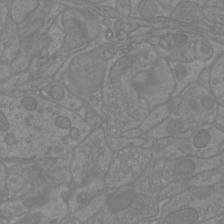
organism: Mouse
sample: Cortical neurons